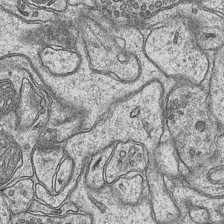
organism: Mouse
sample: CA1 Hippocampus